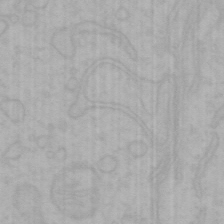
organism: Mouse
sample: Choroid plexus